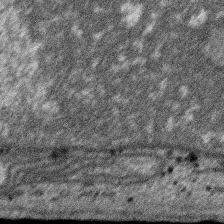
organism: Human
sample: Lung epithelial cells infected with SARS-CoV-2